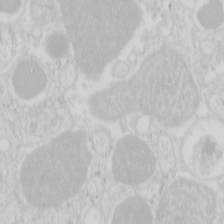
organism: Mouse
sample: Pancreas